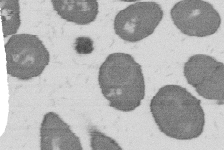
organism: B. subtilis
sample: Bacterial spore